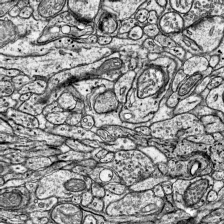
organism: Mouse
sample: Visual Cortex